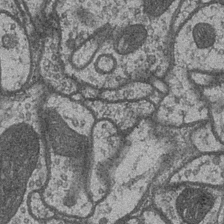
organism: Drosophila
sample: Optic medulla